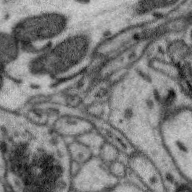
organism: Zebra finch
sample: Brain